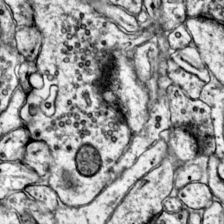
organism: Mouse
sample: Primary visual cortex